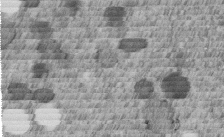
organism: C. elegans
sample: C. elegans embryo early stage